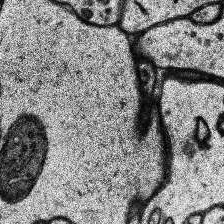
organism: Human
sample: Temporal Lobe